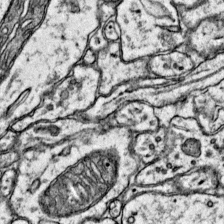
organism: Mouse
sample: Primary visual cortex